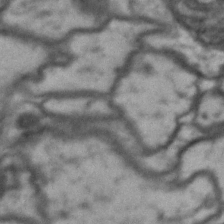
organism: Drosophila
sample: Brain